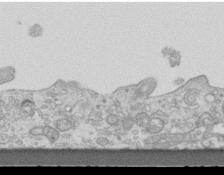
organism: Mouse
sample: Centriole in ependymal cells